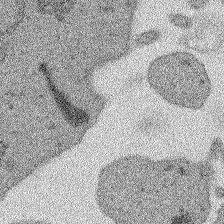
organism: Human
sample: HeLa cells